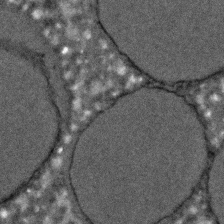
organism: C. elegans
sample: C. elegans embryo